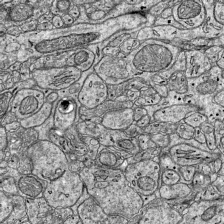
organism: Mouse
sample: Visual Cortex